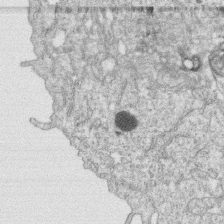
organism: Human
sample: HeLa cell HIV synapse